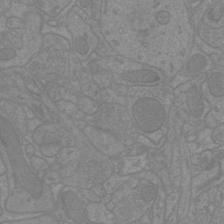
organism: Mouse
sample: Cortical neurons